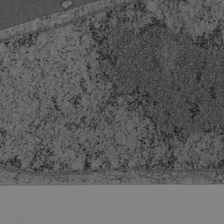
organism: African green monkey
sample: COS-7 cells